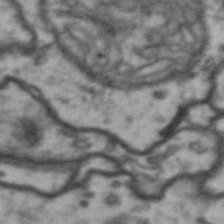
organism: Drosophila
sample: Brain